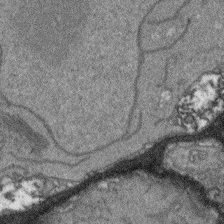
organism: Arabidopsis thaliana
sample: Root tip